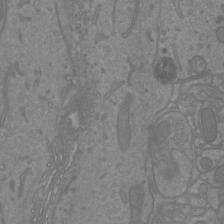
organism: Mouse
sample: Cortical neurons